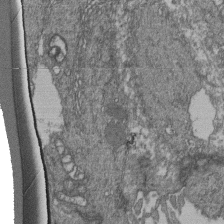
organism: Human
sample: Retinal organoid Rod and Cone cells